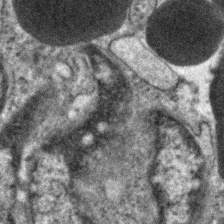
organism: Human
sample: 1205lu cells